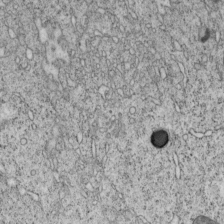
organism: C. elegans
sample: C. elegans embryo early stage